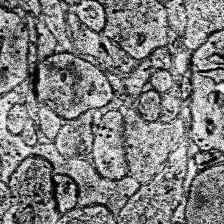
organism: Human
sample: Temporal Lobe